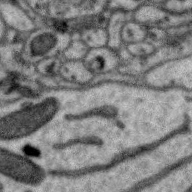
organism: Zebra finch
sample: Brain